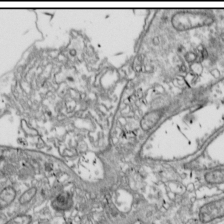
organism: Drosophila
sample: Cell division; meiosis; drosophila spermatocytes